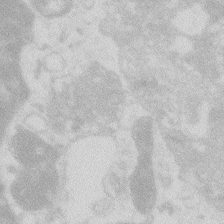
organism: Zebrafish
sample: Macrophage